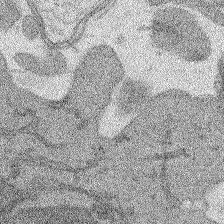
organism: Human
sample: HeLa cells